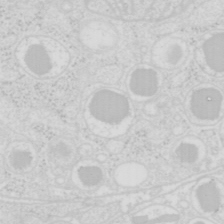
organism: Mouse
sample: Pancreas